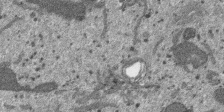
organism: Human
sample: Lung epithelial cells infected with SARS-CoV-2